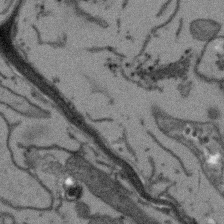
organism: Arabidopsis thaliana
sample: Root tip